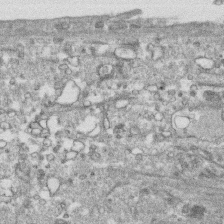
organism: Human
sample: CRL-1474